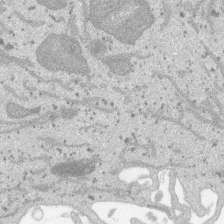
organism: Human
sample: Lung epithelial cells infected with SARS-CoV-2